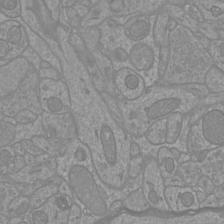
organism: Mouse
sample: Cortical neurons